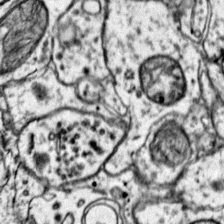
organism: Mouse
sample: Primary visual cortex